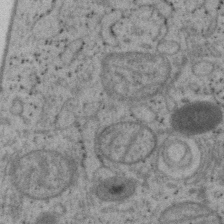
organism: Human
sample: HeLa cells